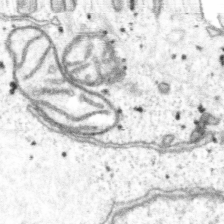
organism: Human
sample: HeLa cells